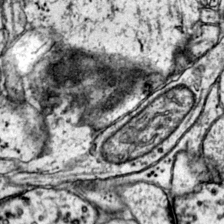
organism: Mouse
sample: Primary visual cortex